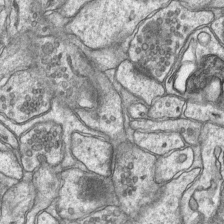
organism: Mouse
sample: CA1 Hippocampus